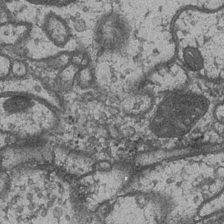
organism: Drosophila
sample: Optic medulla